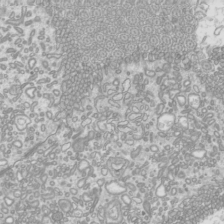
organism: Mouse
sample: Cilia; mouse epididymis